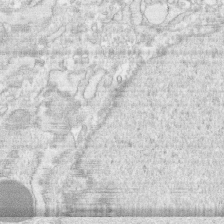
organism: Human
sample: CRL-1474